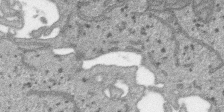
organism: Human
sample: Lung epithelial cells infected with SARS-CoV-2